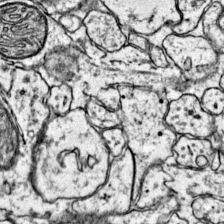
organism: Mouse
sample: Primary visual cortex